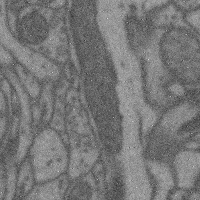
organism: Mouse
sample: Cerebral cortex